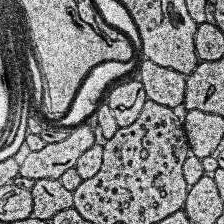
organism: Human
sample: Temporal Lobe